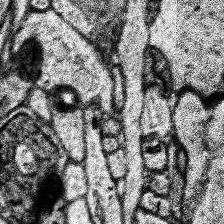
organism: Human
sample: Temporal Lobe